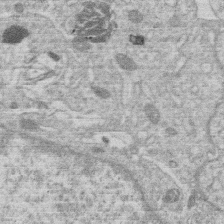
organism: Human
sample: Macrophage cells